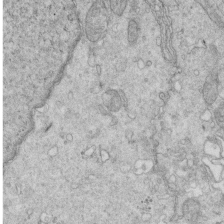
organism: Mouse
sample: Multiciliated cells